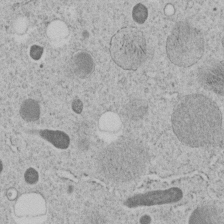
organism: C. elegans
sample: C. elegans embryo early stage